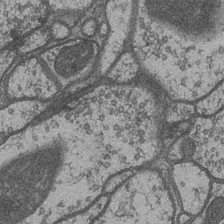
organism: Drosophila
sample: Optic medulla